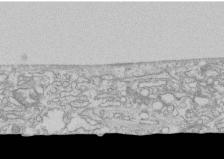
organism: Human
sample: CRL-1474